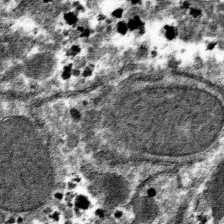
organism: Mouse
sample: Mouse hepatocytes